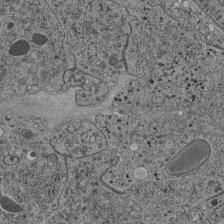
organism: C. elegans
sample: C. elegans pharynx